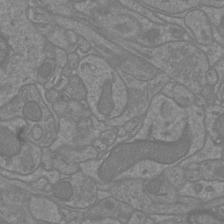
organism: Mouse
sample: Cortical neurons